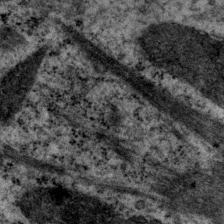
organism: P. pacificus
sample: Pharynx